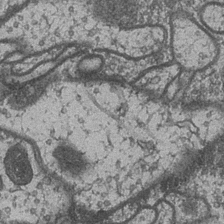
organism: Drosophila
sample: Optic medulla